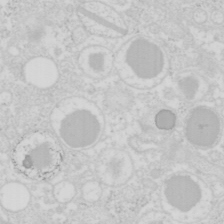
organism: Mouse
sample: Pancreas